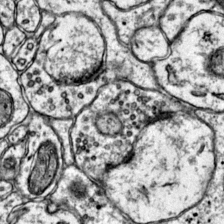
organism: Mouse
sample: Primary visual cortex